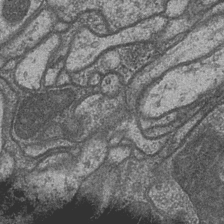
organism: Drosophila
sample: Optic medulla